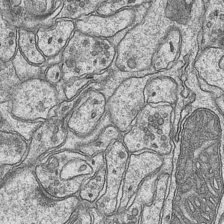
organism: Mouse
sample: CA1 Hippocampus